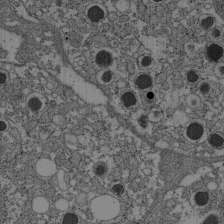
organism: C57BL Mouse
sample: Pancreatic islet